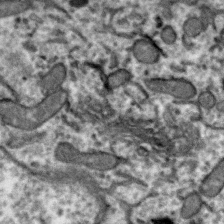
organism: Zebra finch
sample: Brain